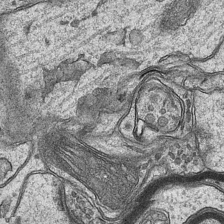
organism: Mouse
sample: CA1 Hippocampus